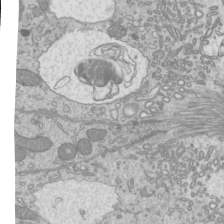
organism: Mouse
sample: Cilia; mouse epididymis